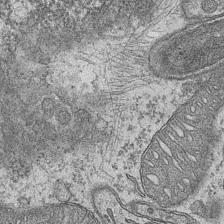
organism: Mouse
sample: CA1 Hippocampus